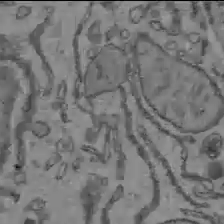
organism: C57BL Mouse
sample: Liver